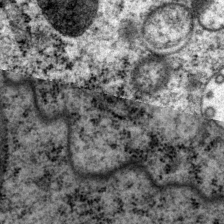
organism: P. pacificus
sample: Pharynx